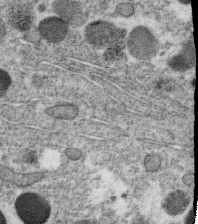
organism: C. elegans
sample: C. elegans oocyte; sperm cells